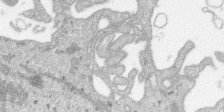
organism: Human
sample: Lung epithelial cells infected with SARS-CoV-2